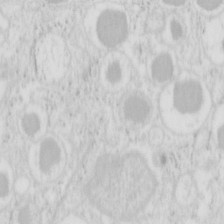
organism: Mouse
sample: Pancreas